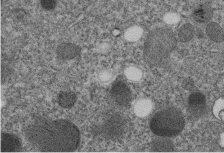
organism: C. elegans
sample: C. elegans embryo early stage